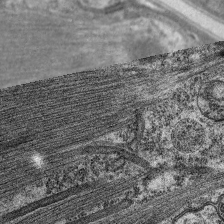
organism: C. elegans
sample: Pharynx